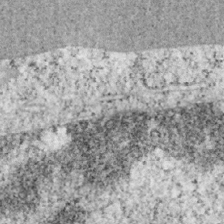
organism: Mouse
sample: OT-I killer T cells with ID8 ovarian cancer cells